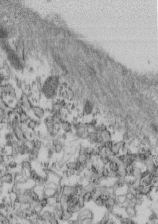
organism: Mouse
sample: Cilia; retinal pigment epithelium